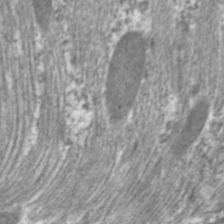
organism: C. elegans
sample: Pharynx